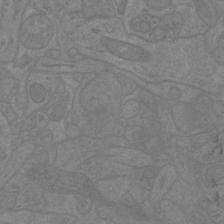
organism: Mouse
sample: Cortical neurons